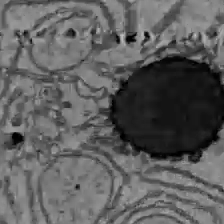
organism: C57BL Mouse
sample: Liver